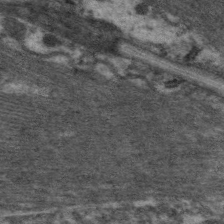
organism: C. elegans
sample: Pharynx